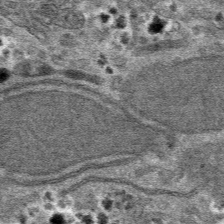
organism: Mouse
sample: Mouse hepatocytes